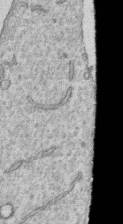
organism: Human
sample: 1205lu cells